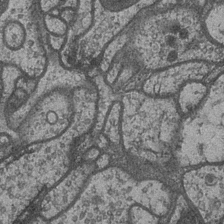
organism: Drosophila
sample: Optic medulla